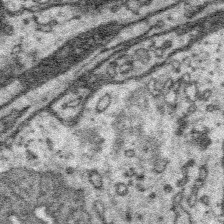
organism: Platynereis dumerilii